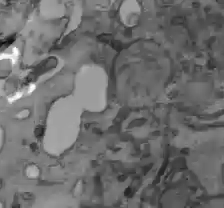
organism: C57BL Mouse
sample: Liver